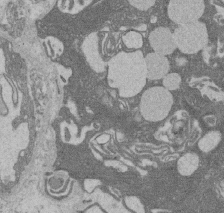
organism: Rat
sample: Salivary granule